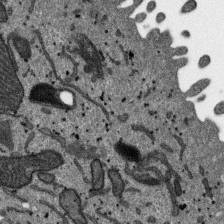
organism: Human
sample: Lung epithelial cells, uninfected (mock) control